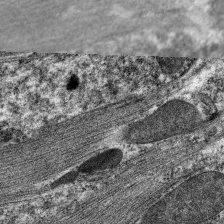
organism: C. elegans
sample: Pharynx